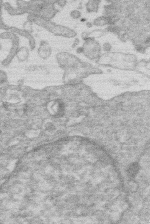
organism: Human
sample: Macrophage cells